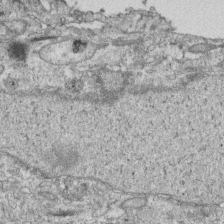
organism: Human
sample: HeLa cell HIV synapse